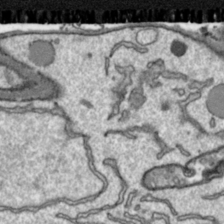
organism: Toxoplasma gondii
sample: Parasites in a vacuole inside a host cell